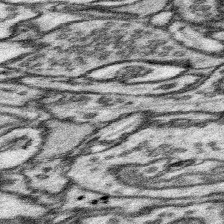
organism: Mouse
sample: Somatosensory cortex neuropil